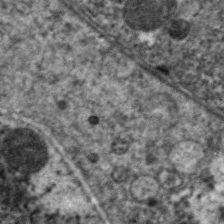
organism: C. elegans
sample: Pharynx